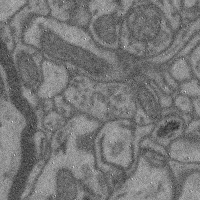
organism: Mouse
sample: Cerebral cortex